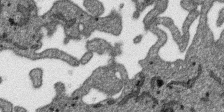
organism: Human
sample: Lung epithelial cells infected with SARS-CoV-2